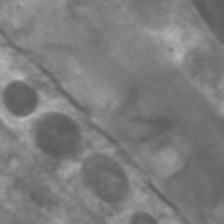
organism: C. elegans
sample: Pharynx